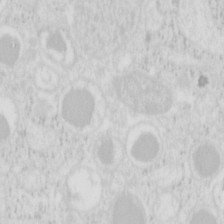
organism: Mouse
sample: Pancreas